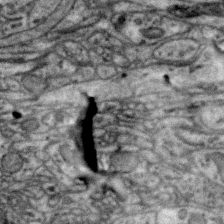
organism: Zebra finch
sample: Brain